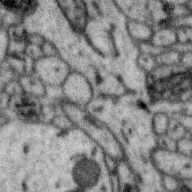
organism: Zebra finch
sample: Brain